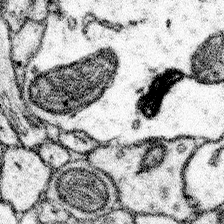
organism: Mouse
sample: Somatosensory cortex neuropil